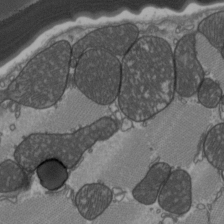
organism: C57BL Mouse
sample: Heart